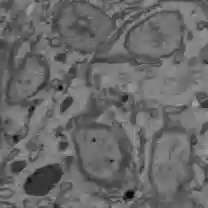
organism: C57BL Mouse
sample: Liver